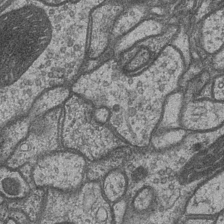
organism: Drosophila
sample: Optic medulla